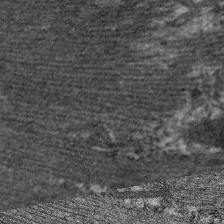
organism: C. elegans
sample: Pharynx